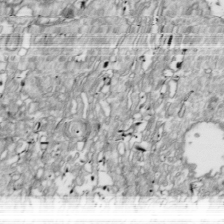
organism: Drosophila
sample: Cell division; meiosis; drosophila spermatocytes